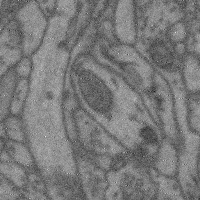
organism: Mouse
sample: Cerebral cortex